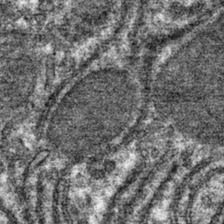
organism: Mouse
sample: Mouse hepatocytes